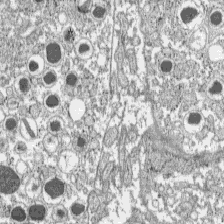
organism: C57BL Mouse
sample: Pancreatic islet